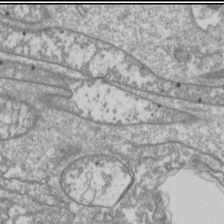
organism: Drosophila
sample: Cell division; meiosis; drosophila spermatocytes